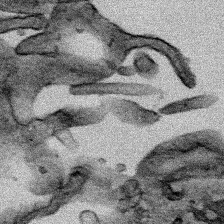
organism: Human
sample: Mitochondria in HCT116 cells